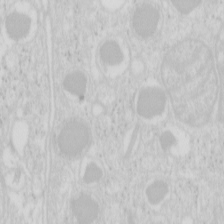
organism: Mouse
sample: Pancreas